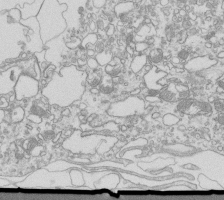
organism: Mouse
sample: Macrophages